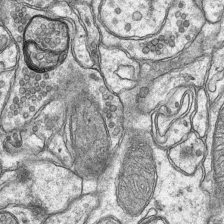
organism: Mouse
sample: CA1 Hippocampus